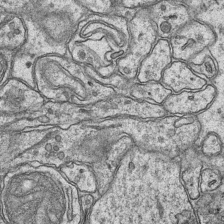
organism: Mouse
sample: CA1 Hippocampus